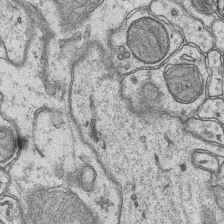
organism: Mouse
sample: CA1 Hippocampus